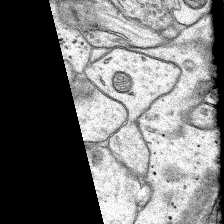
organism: Rat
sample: Hippocampus